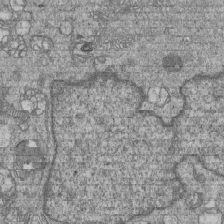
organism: Human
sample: MDA-MB-231 cells